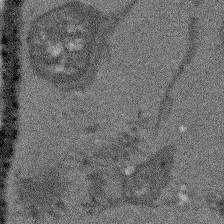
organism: Arabidopsis thaliana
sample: Root tip